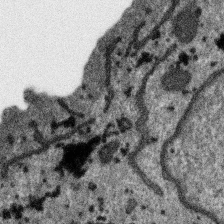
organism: Human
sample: Lung epithelial cells infected with SARS-CoV-2